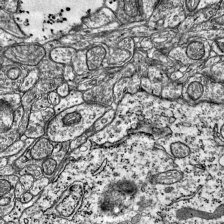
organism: Mouse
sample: Visual Cortex